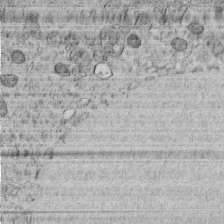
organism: C. elegans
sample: C. elegans embryo early stage